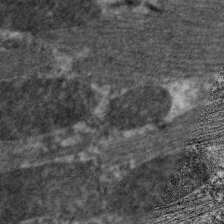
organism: C. elegans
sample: Pharynx